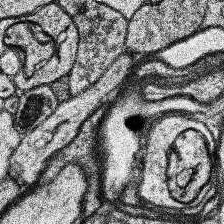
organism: Human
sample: Temporal Lobe